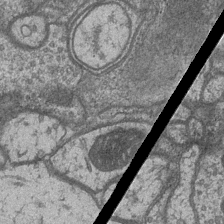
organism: Drosophila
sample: Optic medulla